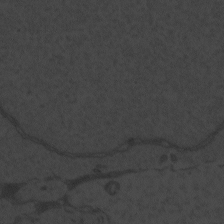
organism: Zebrafish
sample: Macrophage infected with Toxoplasma gondii